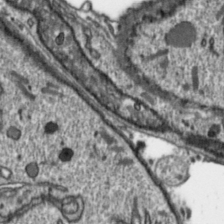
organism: Toxoplasma gondii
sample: Parasites in a vacuole inside a host cell